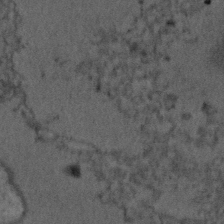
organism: Human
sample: HeLa cells